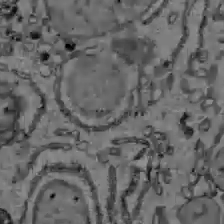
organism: C57BL Mouse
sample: Liver